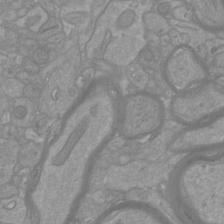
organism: Mouse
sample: Cortical neurons